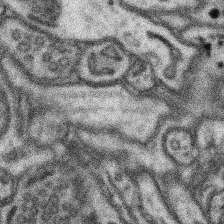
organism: Mouse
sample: Somatosensory cortex neuropil